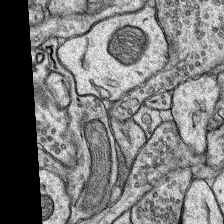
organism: Rat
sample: Hippocampus